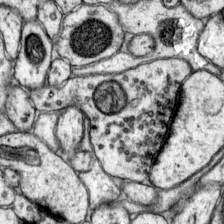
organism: Mouse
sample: Primary visual cortex